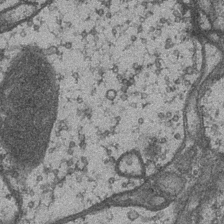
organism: Drosophila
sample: Optic medulla